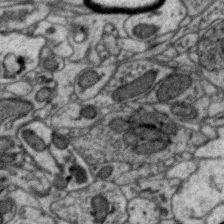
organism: Zebra finch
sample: Brain